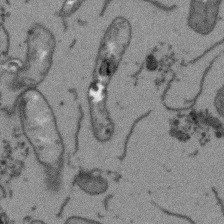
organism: Arabidopsis thaliana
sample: Root tip